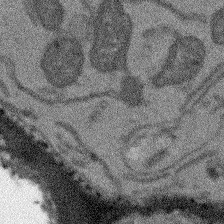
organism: Arabidopsis thaliana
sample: Root tip